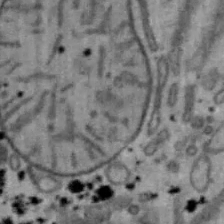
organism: Mouse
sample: Liver